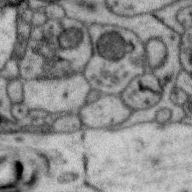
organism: Zebra finch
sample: Brain